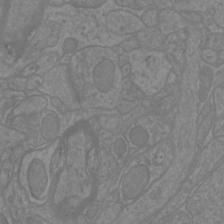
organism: Mouse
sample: Cortical neurons